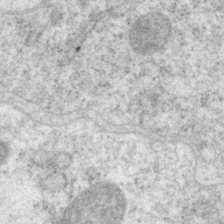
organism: P. pacificus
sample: Pharynx